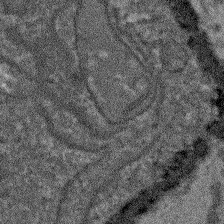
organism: Arabidopsis thaliana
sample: Root tip